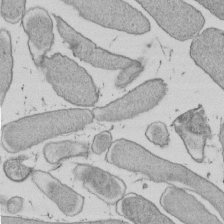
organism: E. coli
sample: Bacterial nucleoid